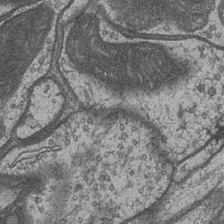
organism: Drosophila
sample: Optic medulla